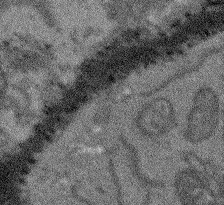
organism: Arabidopsis thaliana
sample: Root tip